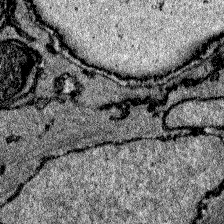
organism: Zebrafish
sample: Larval olfactory bulb